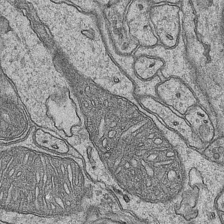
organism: Mouse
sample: CA1 Hippocampus